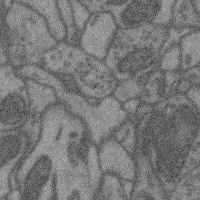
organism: Mouse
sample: Cerebral cortex